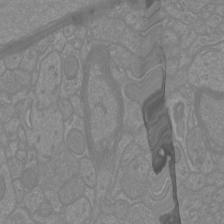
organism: Mouse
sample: Cortical neurons